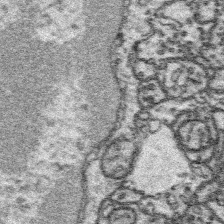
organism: Platynereis dumerilii